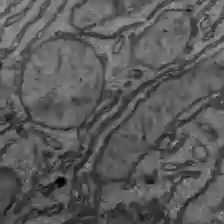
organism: C57BL Mouse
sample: Liver